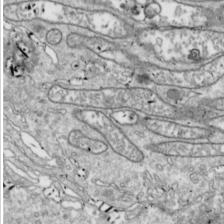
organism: Drosophila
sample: Cell division; meiosis; drosophila spermatocytes